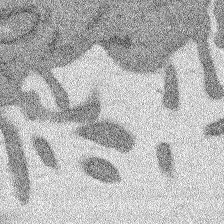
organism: Human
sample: HeLa cells